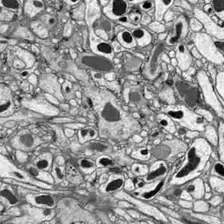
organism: Drosophila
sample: Optic lobe